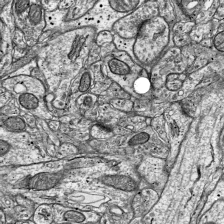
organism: Mouse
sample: Visual Cortex